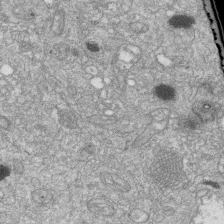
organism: Human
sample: HeLa cell HIV synapse